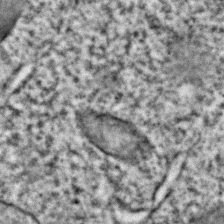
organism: C. elegans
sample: C. elegans embryo